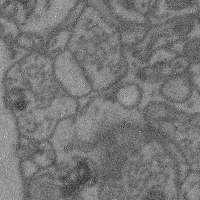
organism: Mouse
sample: Cerebral cortex